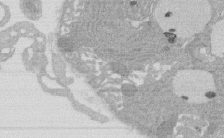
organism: Rat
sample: Salivary granule